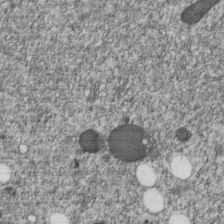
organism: C. elegans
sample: C. elegans embryo early stage